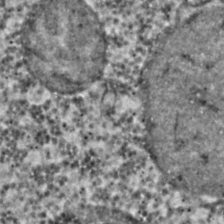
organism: C. elegans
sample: C. elegans embryo